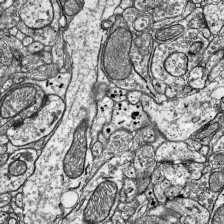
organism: Mouse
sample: Visual Cortex